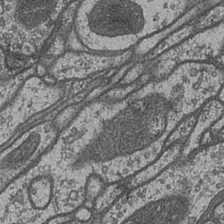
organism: Drosophila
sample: Optic medulla